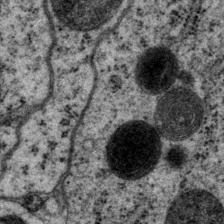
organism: P. pacificus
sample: Pharynx